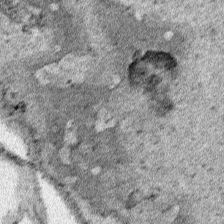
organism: Human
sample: Mitochondria in HCT116 cells